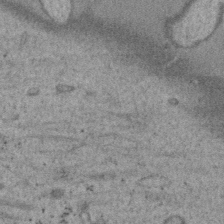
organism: Human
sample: HeLa cells